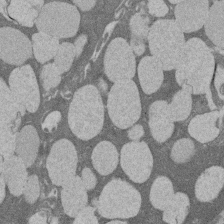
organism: Rat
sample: Salivary granule